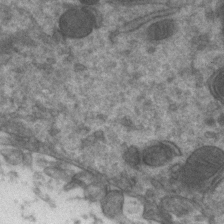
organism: Zebrafish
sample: Zebrafish embryo